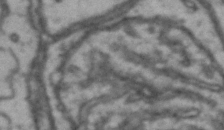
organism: Drosophila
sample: Brain